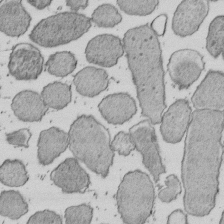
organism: E. coli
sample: Bacterial nucleoid